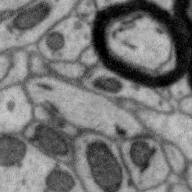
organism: Zebra finch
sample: Brain